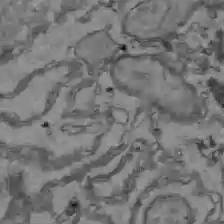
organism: C57BL Mouse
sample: Liver